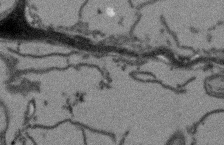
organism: Arabidopsis thaliana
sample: Root tip